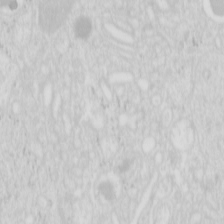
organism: Mouse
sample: Pancreas